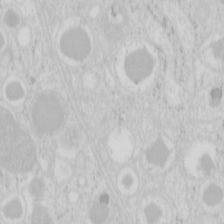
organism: Mouse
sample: Pancreas